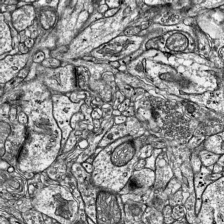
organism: Mouse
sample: Visual Cortex